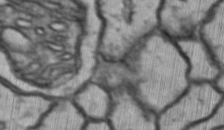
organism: Drosophila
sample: Brain